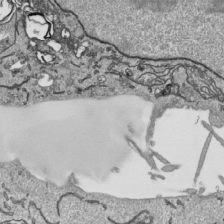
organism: Human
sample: Mitochondria in HCT116 cells